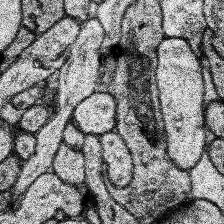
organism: Human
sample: Temporal Lobe